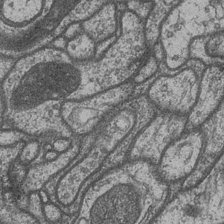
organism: Drosophila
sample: Optic medulla